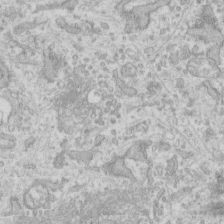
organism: Human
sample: Fibroblast cells